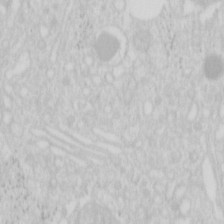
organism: Mouse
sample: Pancreas